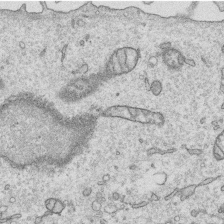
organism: Human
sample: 1205lu cells